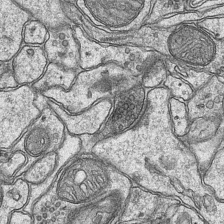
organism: Mouse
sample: CA1 Hippocampus